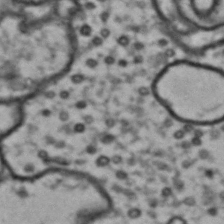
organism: Drosophila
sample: Brain